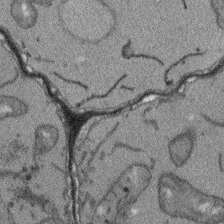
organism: Arabidopsis thaliana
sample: Root tip